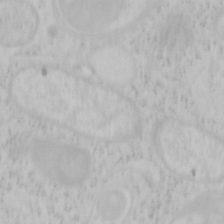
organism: Mouse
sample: OT-I killer T cells with ID8 ovarian cancer cells